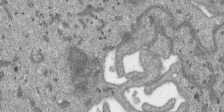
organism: Human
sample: Lung epithelial cells infected with SARS-CoV-2